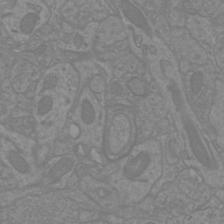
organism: Mouse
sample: Cortical neurons